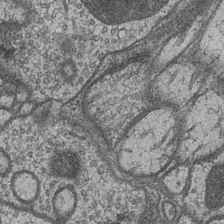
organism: Drosophila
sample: Optic medulla